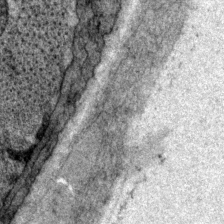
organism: P. pacificus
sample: Pharynx